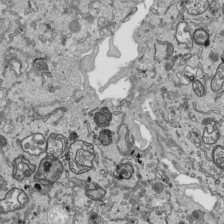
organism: Human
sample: Mitochondria in HCT116 cells